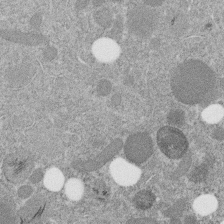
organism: C. elegans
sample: C. elegans embryo early stage